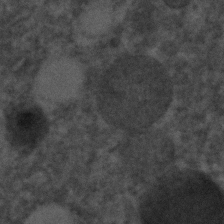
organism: C. elegans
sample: C. elegans embryo